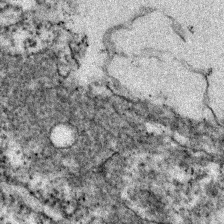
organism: Zebrafish